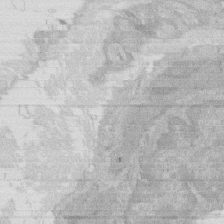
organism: Rat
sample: Salivary granule